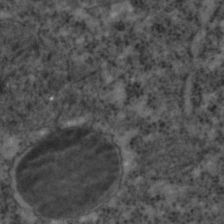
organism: C. elegans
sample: C. elegans embryo